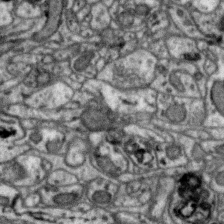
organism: Zebra finch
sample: Brain